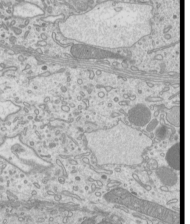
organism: Mouse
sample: Cilia; mouse epididymis